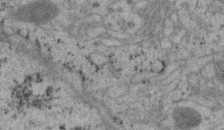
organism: Human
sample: HeLa cells